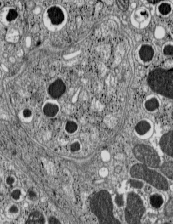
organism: C57BL Mouse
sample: Pancreatic islet